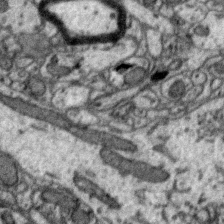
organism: Zebra finch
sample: Brain